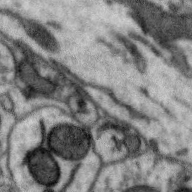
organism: Zebra finch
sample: Brain